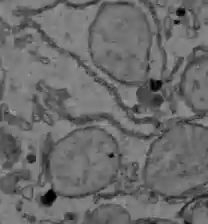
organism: C57BL Mouse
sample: Liver